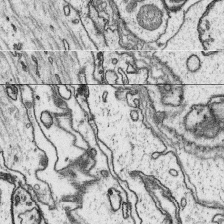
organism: Platynereis dumerilii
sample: Parapodia